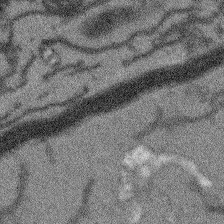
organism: Arabidopsis thaliana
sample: Root tip